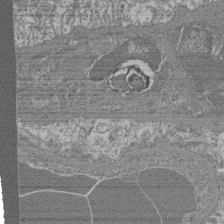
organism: Mouse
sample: Glomerulus